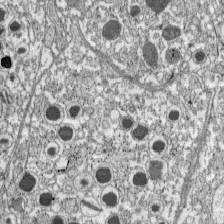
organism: C57BL Mouse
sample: Pancreatic islet